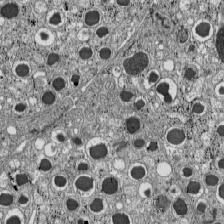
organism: C57BL Mouse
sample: Pancreatic islet